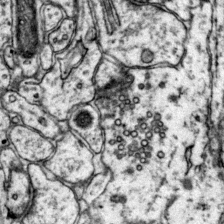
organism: Mouse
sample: Primary visual cortex